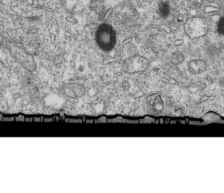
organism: Human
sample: HeLa cell HIV synapse